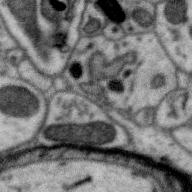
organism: Zebra finch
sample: Brain